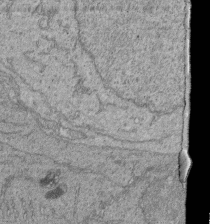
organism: Human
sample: Retinal organoid Rod and Cone cells